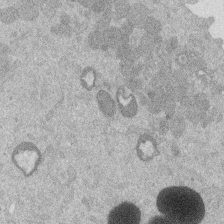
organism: Mouse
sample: Dividing mouse embryo 1 cell stage